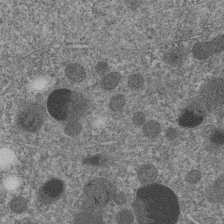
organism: C. elegans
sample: C. elegans embryo early stage